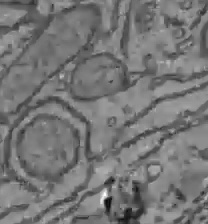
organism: C57BL Mouse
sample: Liver